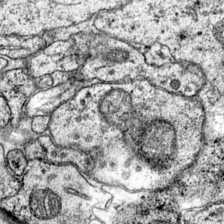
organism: Mouse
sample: Primary visual cortex